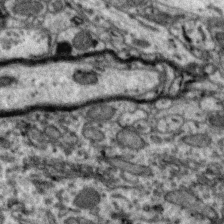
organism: Zebra finch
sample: Brain